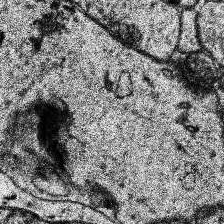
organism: Human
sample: Temporal Lobe